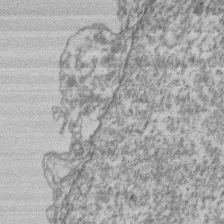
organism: Mouse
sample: T cell stromal cell synapse